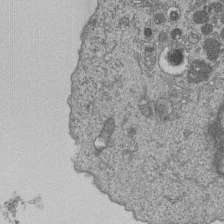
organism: Human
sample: MDA-MB-231 cells